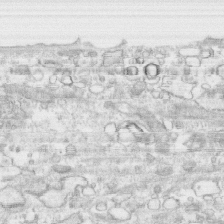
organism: Human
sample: CRL-1474